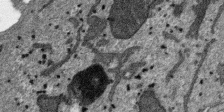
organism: Human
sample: Lung epithelial cells, uninfected (mock) control